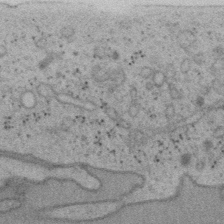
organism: Human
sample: HeLa cells